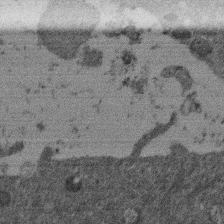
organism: Mouse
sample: Dividing mouse embryo 1 cell stage